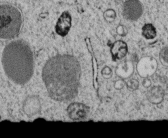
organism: C. elegans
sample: C. elegans embryo early stage